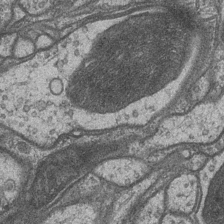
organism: Drosophila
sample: Optic medulla